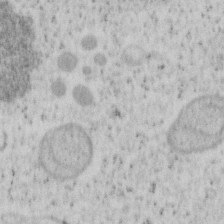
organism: Human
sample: HeLa cells